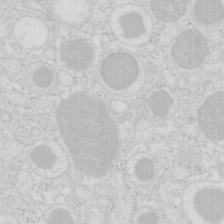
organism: Mouse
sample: Pancreas